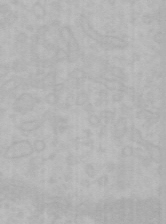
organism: Mouse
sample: Choroid plexus